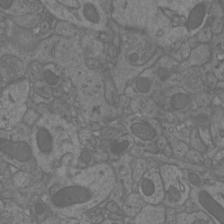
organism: Mouse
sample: Cortical neurons